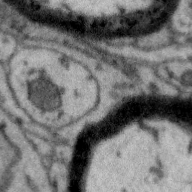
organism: Zebra finch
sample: Brain